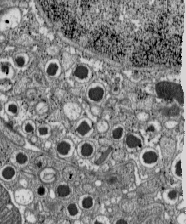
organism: C57BL Mouse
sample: Pancreatic islet